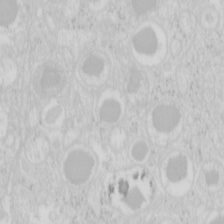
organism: Mouse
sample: Pancreas